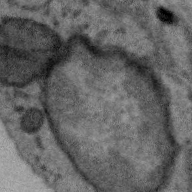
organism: Zebra finch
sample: Brain